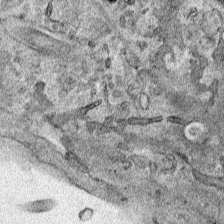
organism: Human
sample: Mitochondria in HCT116 cells